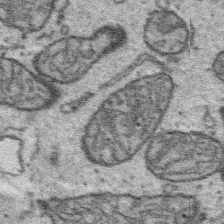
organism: Platynereis dumerilii